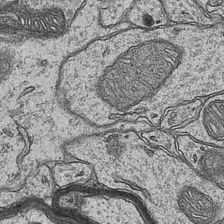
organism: Mouse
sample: CA1 Hippocampus